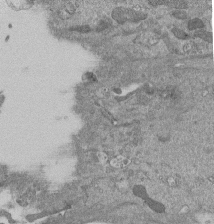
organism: Mouse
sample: ED-1 cell nuclei; centrioles